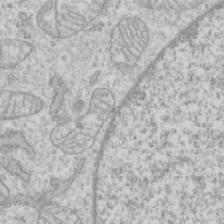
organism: Human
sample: CRL-1474